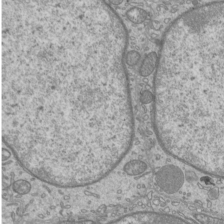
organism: Mouse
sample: Cilia; mouse epididymis